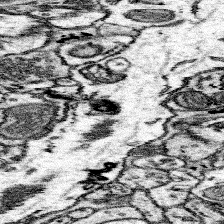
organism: Mouse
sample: Somatosensory cortex neuropil